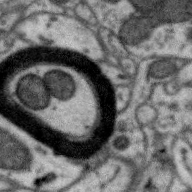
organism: Zebra finch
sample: Brain